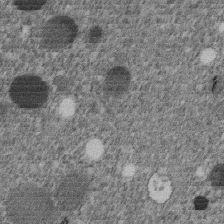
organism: C. elegans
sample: C. elegans embryo early stage